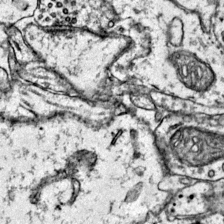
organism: Mouse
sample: Primary visual cortex